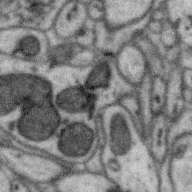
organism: Zebra finch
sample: Brain